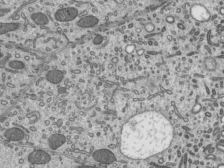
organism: Mouse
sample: Mouse epididymis efferent ductule cilia